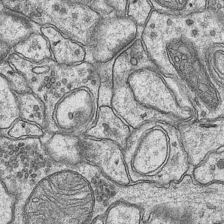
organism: Mouse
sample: CA1 Hippocampus